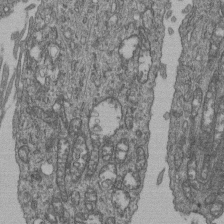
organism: Human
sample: Retinal organoid Rod and Cone cells